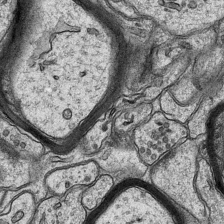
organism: Mouse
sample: CA1 Hippocampus